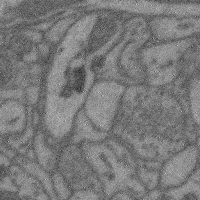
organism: Mouse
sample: Cerebral cortex